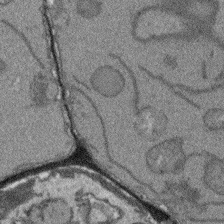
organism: Arabidopsis thaliana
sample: Root tip